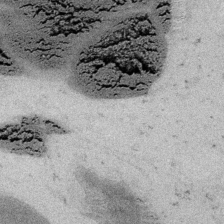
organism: Embia sp.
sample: Silk gland